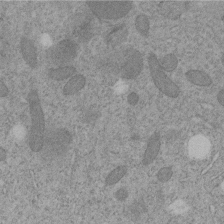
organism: C. elegans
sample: C. elegans embryo early stage